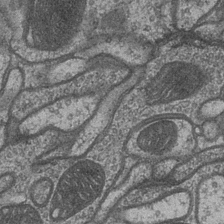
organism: Drosophila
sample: Optic medulla